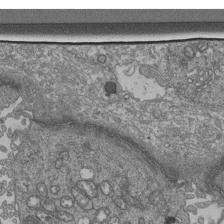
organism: Human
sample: Retinal organoid Rod and Cone cells